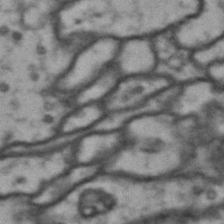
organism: Drosophila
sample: Brain